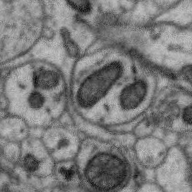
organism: Zebra finch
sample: Brain